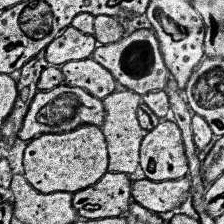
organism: Human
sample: Temporal Lobe